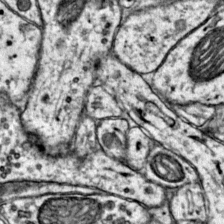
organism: Mouse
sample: Primary visual cortex